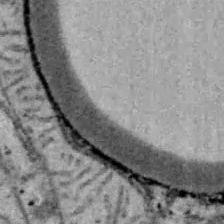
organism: Mouse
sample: Liver from an obese (ob/ob) mouse